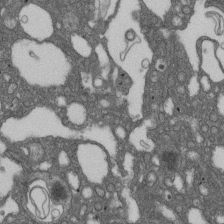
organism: Drosophila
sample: Nephrocyte